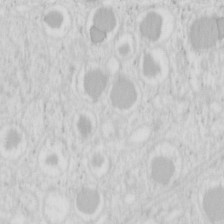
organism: Mouse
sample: Pancreas